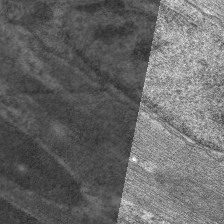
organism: C. elegans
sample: Pharynx